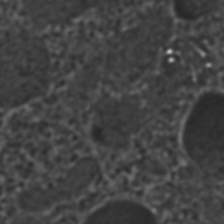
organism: C. elegans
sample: C. elegans embryo